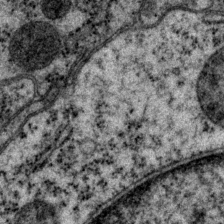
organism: P. pacificus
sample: Pharynx